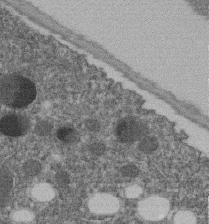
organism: C. elegans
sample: C. elegans embryo early stage